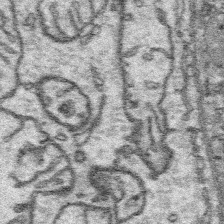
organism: Platynereis dumerilii